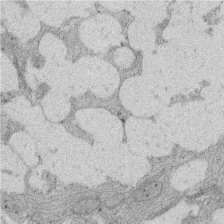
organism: Rat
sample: Salivary granule